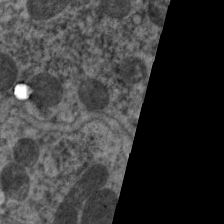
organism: C. elegans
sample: Pharynx